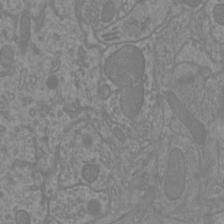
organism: Mouse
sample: Cortical neurons